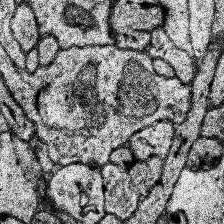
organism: Human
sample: Temporal Lobe